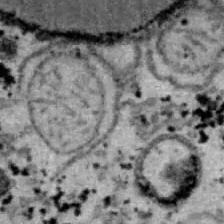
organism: Mouse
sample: Liver from an obese (ob/ob) mouse